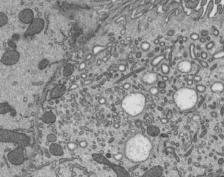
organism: Mouse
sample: Mouse epididymis efferent ductule cilia